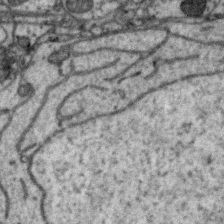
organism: Zebra finch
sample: Brain